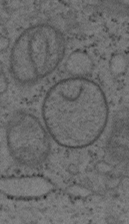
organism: Human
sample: HeLa cells